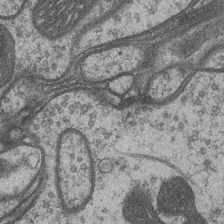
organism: Drosophila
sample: Optic medulla